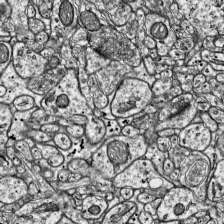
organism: Mouse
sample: Visual Cortex